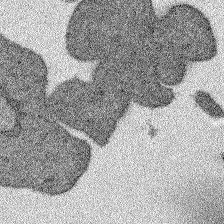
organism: Human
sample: HeLa cells